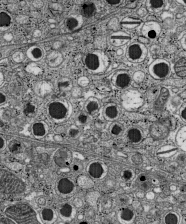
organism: C57BL Mouse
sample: Pancreatic islet